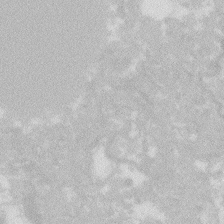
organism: Zebrafish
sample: Macrophage